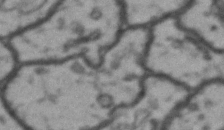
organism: Drosophila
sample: Brain